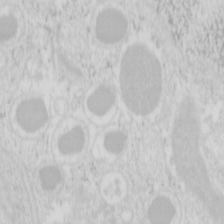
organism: Mouse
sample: Pancreas